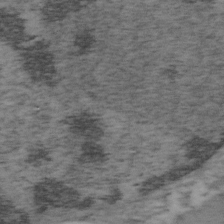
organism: Mouse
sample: OT-I killer T cells with ID8 ovarian cancer cells